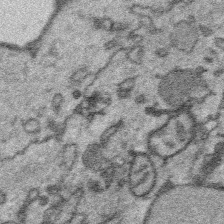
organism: Platynereis dumerilii